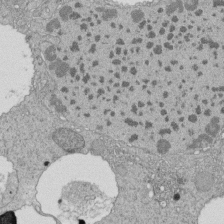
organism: Tetrahymena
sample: Cilia in tetrahymena